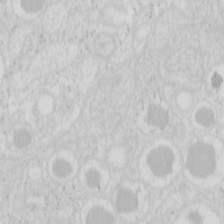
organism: Mouse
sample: Pancreas